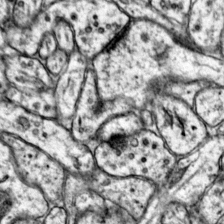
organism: Mouse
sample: Primary visual cortex